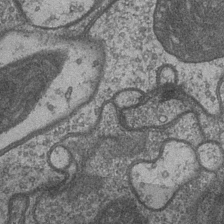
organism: Drosophila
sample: Optic medulla